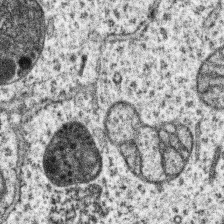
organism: Human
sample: HeLa cells